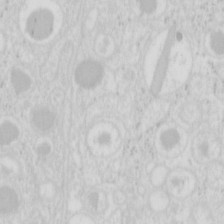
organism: Mouse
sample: Pancreas